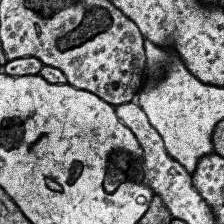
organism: Human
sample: Temporal Lobe